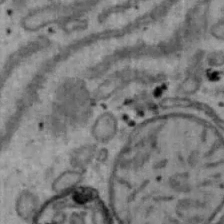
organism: Mouse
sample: Liver